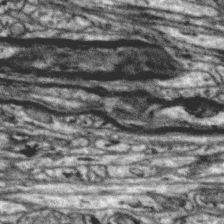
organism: Zebra finch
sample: Brain